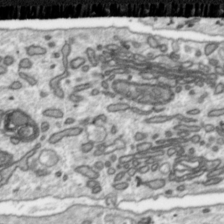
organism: Toxoplasma gondii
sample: Parasites in a vacuole inside a host cell